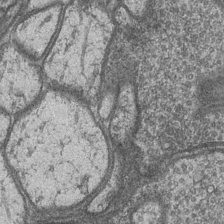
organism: Drosophila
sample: Optic medulla